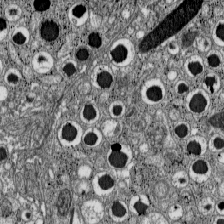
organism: C57BL Mouse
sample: Pancreatic islet